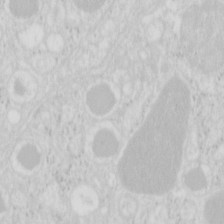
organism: Mouse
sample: Pancreas